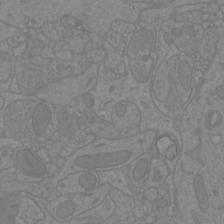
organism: Mouse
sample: Cortical neurons